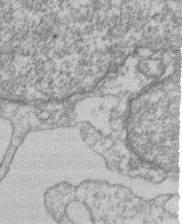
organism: Mouse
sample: T cell stromal cell synapse